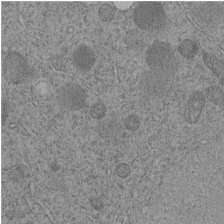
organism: C. elegans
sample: C. elegans embryo early stage